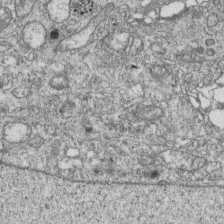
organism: Human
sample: HeLa cell HIV synapse